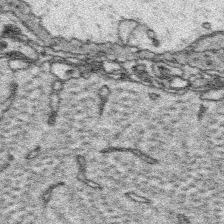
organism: Platynereis dumerilii